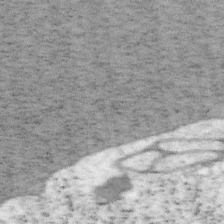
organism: Mouse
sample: OT-I killer T cells with ID8 ovarian cancer cells